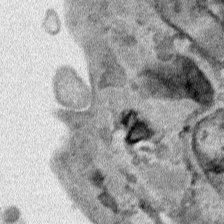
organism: Human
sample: Mitochondria in HCT116 cells